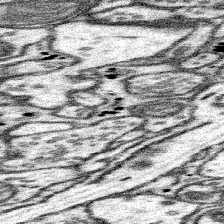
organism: Mouse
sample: Somatosensory cortex neuropil